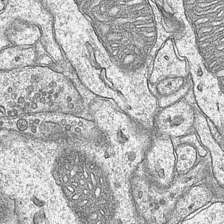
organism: Mouse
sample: CA1 Hippocampus